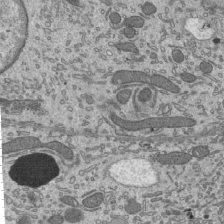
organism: Mouse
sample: Mouse epididymis efferent ductule cilia